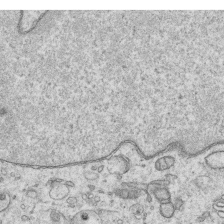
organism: Human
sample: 1205lu cells